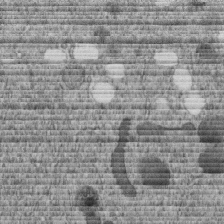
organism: C. elegans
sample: C. elegans embryo early stage